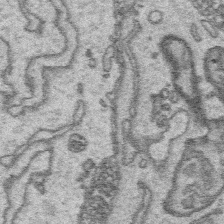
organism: Platynereis dumerilii